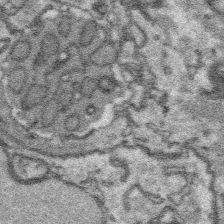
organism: Platynereis dumerilii